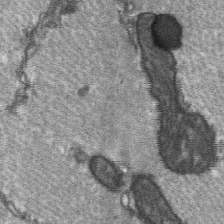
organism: C57BL Mouse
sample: Soleus